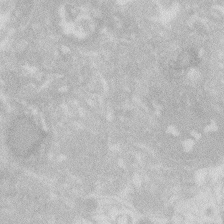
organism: Zebrafish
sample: Macrophage